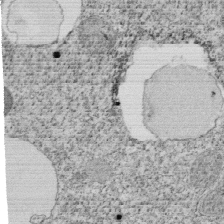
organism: Tetrahymena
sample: Cilia in tetrahymena